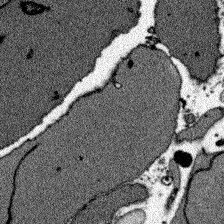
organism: Zebrafish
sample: Larval olfactory bulb